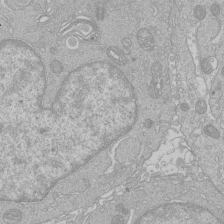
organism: Human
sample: Macrophage cells